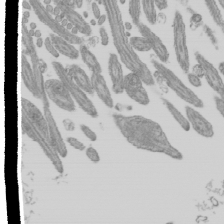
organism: Mouse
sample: Cilia; mouse epididymis